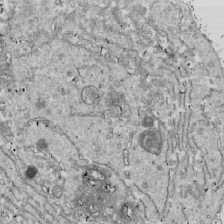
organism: Drosophila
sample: Cell division; meiosis; drosophila spermatocytes